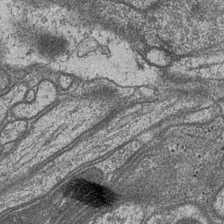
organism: Drosophila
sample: Optic medulla